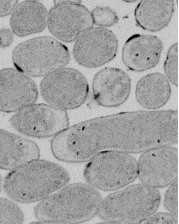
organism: E. coli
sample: Bacterial nucleoid